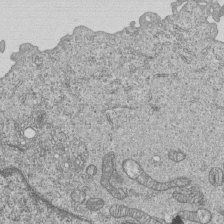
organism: Human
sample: MDA-MB-231 cells